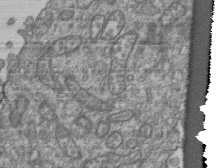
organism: Human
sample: Retinal organoid Rod and Cone cells